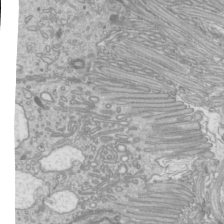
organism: Mouse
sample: Cilia; mouse epididymis